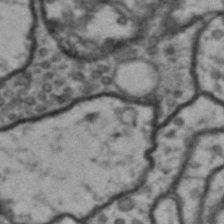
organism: Drosophila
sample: Brain